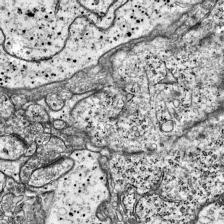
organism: Mouse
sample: Visual Cortex